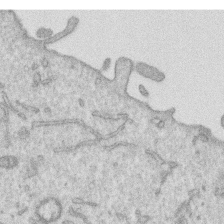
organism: Human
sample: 1205lu cells